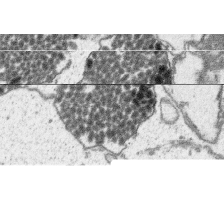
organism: Platynereis dumerilii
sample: Parapodia